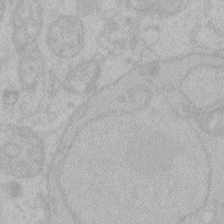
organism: Zebrafish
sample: Macrophage infected with Toxoplasma gondii